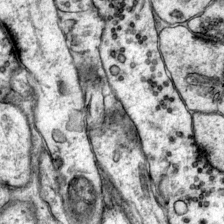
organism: Mouse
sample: Primary visual cortex